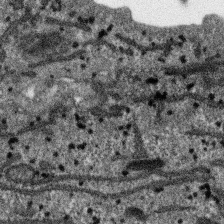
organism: Human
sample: Lung epithelial cells infected with SARS-CoV-2